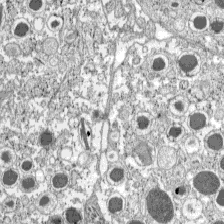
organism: C57BL Mouse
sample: Pancreatic islet